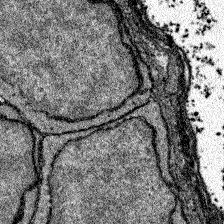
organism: Zebrafish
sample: Larval olfactory bulb